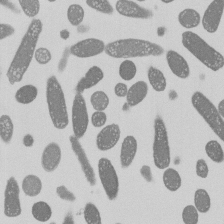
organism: E. coli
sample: Bacterial nucleoid